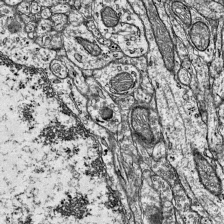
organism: Mouse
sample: Visual Cortex